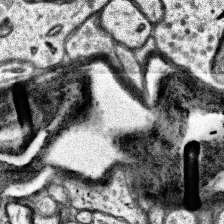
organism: Human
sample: Temporal Lobe